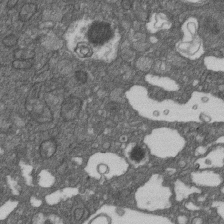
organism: Drosophila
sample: Nephrocyte